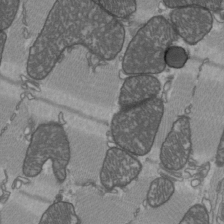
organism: C57BL Mouse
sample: Heart